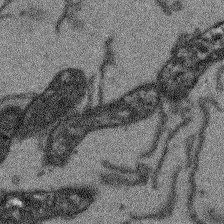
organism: Arabidopsis thaliana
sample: Root tip